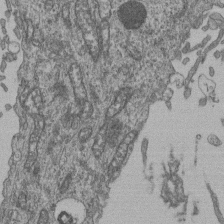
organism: Human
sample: Retinal organoid Rod and Cone cells